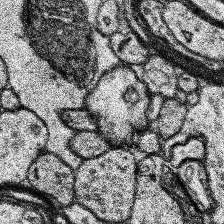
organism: Human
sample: Temporal Lobe